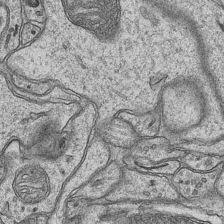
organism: Mouse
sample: CA1 Hippocampus